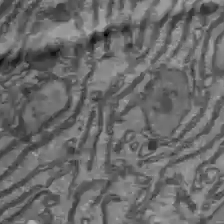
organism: C57BL Mouse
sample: Liver